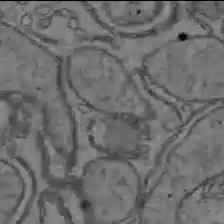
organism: C57BL Mouse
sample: Liver